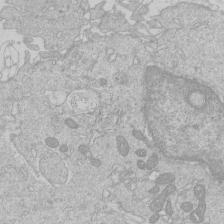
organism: Human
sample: Macrophage cells